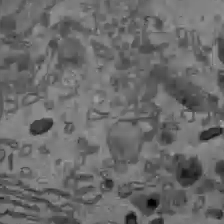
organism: C57BL Mouse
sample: Liver